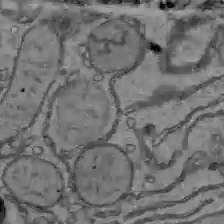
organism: C57BL Mouse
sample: Liver